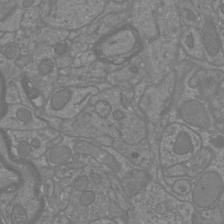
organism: Mouse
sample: Cortical neurons